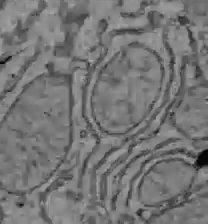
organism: C57BL Mouse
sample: Liver